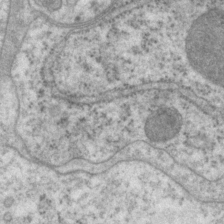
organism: P. pacificus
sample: Pharynx